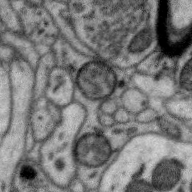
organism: Zebra finch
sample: Brain